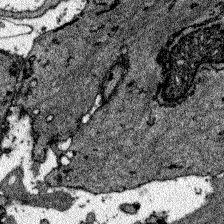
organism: Zebrafish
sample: Larval olfactory bulb